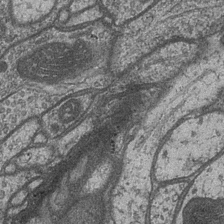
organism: Drosophila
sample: Optic medulla